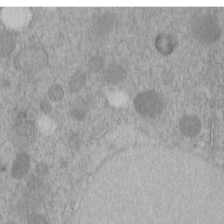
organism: C. elegans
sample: C. elegans embryo early stage